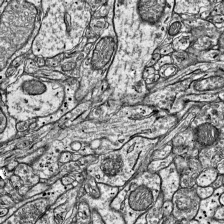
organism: Mouse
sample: Visual Cortex